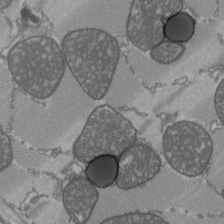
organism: C57BL Mouse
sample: Heart